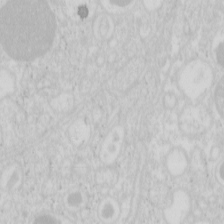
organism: Mouse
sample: Pancreas